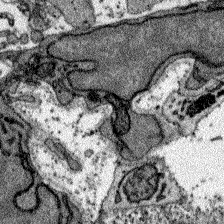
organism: Zebrafish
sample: Larval olfactory bulb